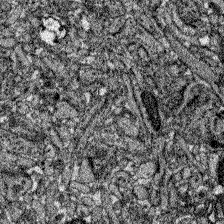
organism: Zebrafish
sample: Larval olfactory bulb